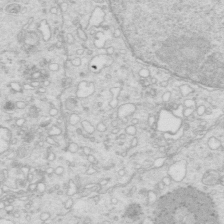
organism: Mouse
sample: Multiciliated cells